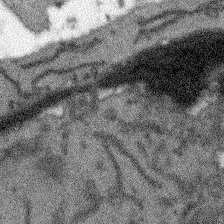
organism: Arabidopsis thaliana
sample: Root tip